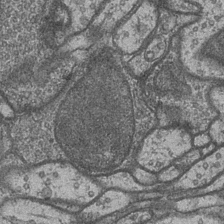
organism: Drosophila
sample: Optic medulla